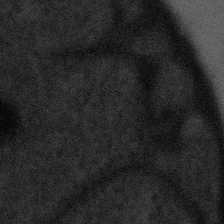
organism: Tuwongella immobilis